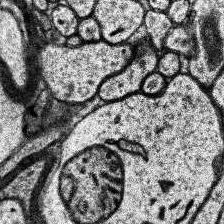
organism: Human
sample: Temporal Lobe